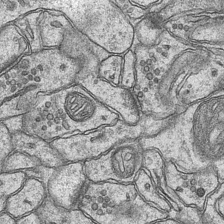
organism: Mouse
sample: CA1 Hippocampus